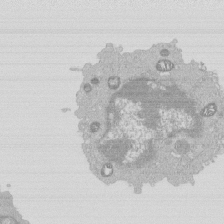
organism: Mouse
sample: Activated Pmel transgenic CD8+ T Cells